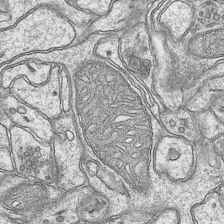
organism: Mouse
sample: CA1 Hippocampus